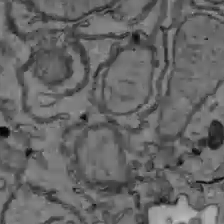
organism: C57BL Mouse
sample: Liver